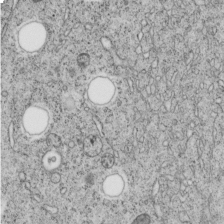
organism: C. elegans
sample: C. elegans embryo early stage